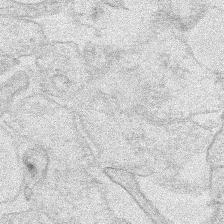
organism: Human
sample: Mitochondria in HCT116 cells